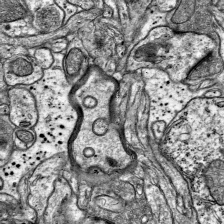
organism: Mouse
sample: Visual Cortex